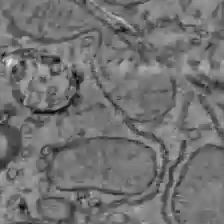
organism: C57BL Mouse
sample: Liver